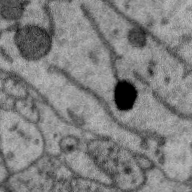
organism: Zebra finch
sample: Brain